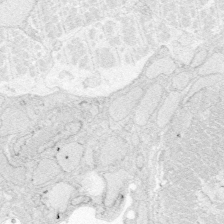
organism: Zebrafish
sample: Whole-Brain